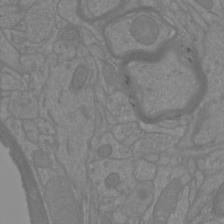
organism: Mouse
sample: Cortical neurons